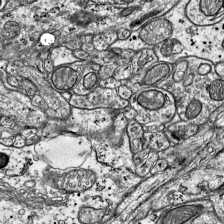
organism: Mouse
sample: Visual Cortex